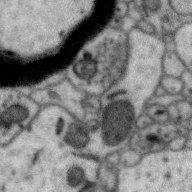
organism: Zebra finch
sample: Brain